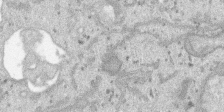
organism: Human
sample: Lung epithelial cells infected with SARS-CoV-2